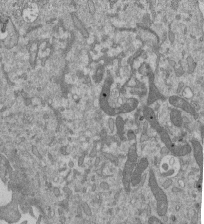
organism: Mouse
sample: ED-1 cell nuclei; centrioles